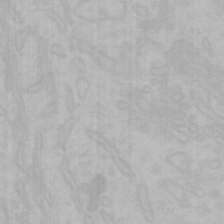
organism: Mouse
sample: Choroid plexus